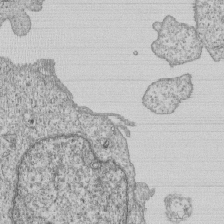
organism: Human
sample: MDA-MB-231 cells